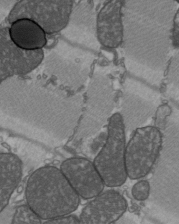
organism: C57BL Mouse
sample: Heart